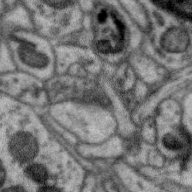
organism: Zebra finch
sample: Brain